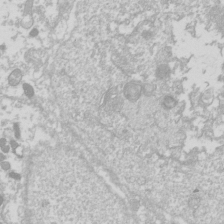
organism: Drosophila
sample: Cell division; meiosis; drosophila spermatocytes